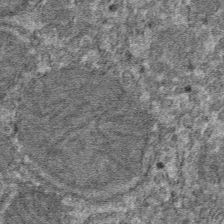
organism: Mouse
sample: Mouse hepatocytes